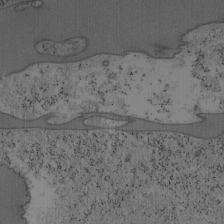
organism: Mouse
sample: OT-I killer T cells with ID8 ovarian cancer cells